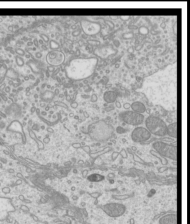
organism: Mouse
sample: Cilia; mouse epididymis